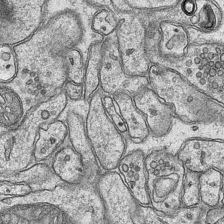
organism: Mouse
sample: CA1 Hippocampus